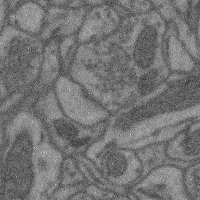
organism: Mouse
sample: Cerebral cortex